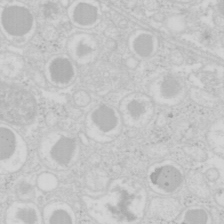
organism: Mouse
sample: Pancreas